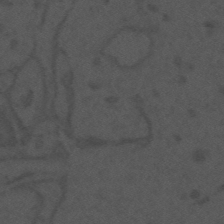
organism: Mouse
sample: Suprachiasmatic nucleus